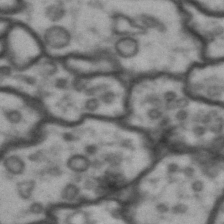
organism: Drosophila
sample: Brain